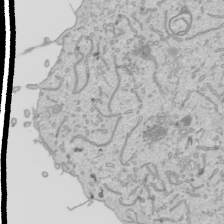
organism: Human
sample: Mitochondria in HCT116 cells